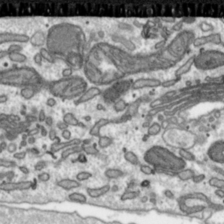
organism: Toxoplasma gondii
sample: Parasites in a vacuole inside a host cell